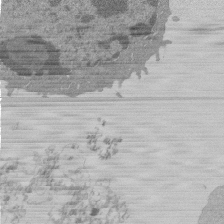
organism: Mouse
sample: Activated Pmel transgenic CD8+ T Cells